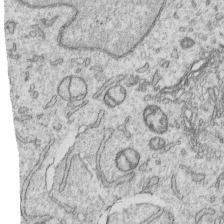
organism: Human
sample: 1205lu cells